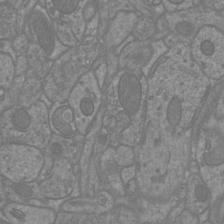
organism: Mouse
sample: Cortical neurons